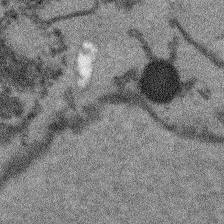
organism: Arabidopsis thaliana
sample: Root tip